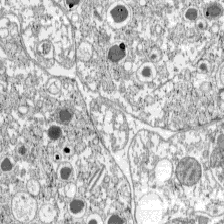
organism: C57BL Mouse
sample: Pancreatic islet